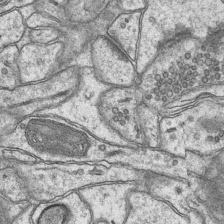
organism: Mouse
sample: CA1 Hippocampus